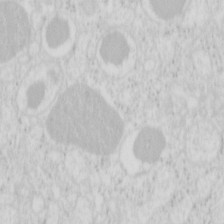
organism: Mouse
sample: Pancreas